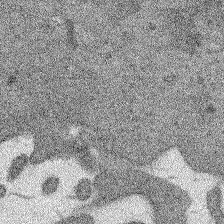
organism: Human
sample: HeLa cells